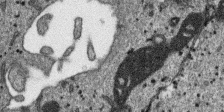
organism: Human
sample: Lung epithelial cells infected with SARS-CoV-2